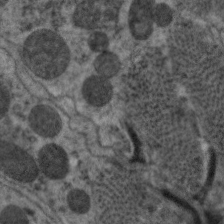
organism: C. elegans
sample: Pharynx